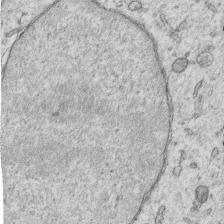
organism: Human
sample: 1205lu cells